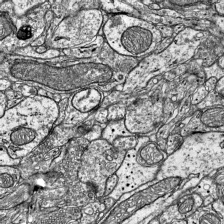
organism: Mouse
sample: Visual Cortex